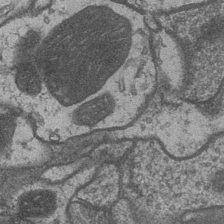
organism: Drosophila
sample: Optic medulla